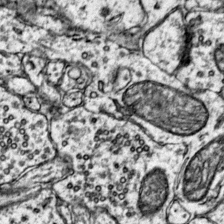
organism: Mouse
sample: Primary visual cortex